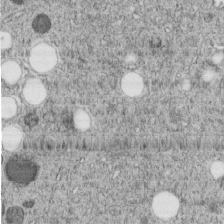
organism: C. elegans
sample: C. elegans embryo early stage